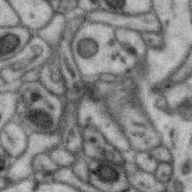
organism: Zebra finch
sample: Brain